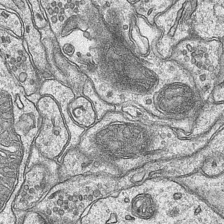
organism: Mouse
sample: CA1 Hippocampus